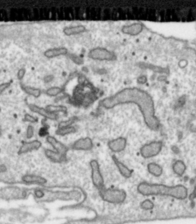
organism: Toxoplasma gondii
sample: Parasites in a vacuole inside a host cell